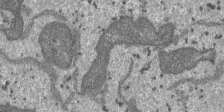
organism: Human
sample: Lung epithelial cells infected with SARS-CoV-2